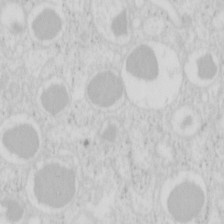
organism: Mouse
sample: Pancreas